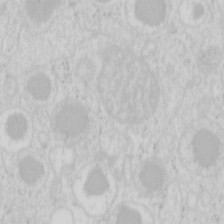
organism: Mouse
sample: Pancreas